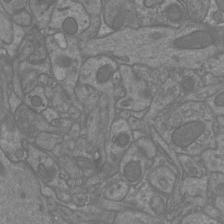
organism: Mouse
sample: Cortical neurons